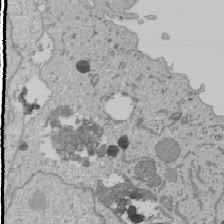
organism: Human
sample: Mitochondria in U2OS cells